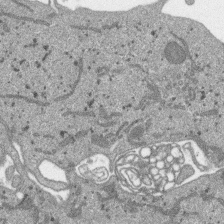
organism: Human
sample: Lung epithelial cells infected with SARS-CoV-2